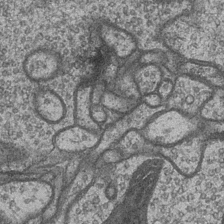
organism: Drosophila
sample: Optic medulla